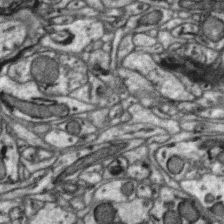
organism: Zebra finch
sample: Brain